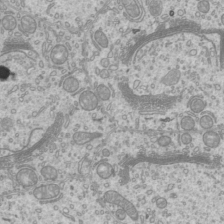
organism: Mouse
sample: Cilia; mouse epididymis